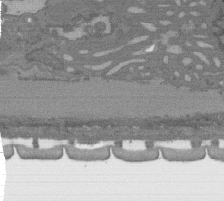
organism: C. elegans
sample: AFD neurons C. elegans